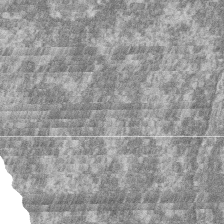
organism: Zebrafish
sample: Cilia; retinal pigment epithelium